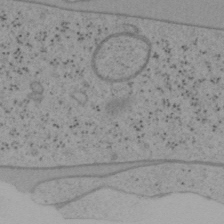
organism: Human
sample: HeLa cells